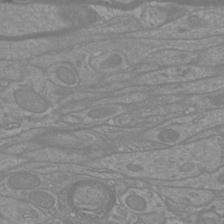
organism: Mouse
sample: Cortical neurons